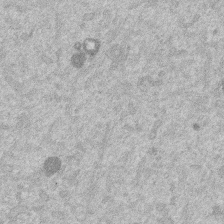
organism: Mouse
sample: Dividing mouse embryo 1 cell stage